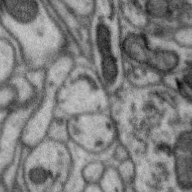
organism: Zebra finch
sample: Brain